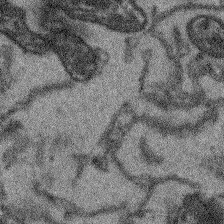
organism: Arabidopsis thaliana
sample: Root tip